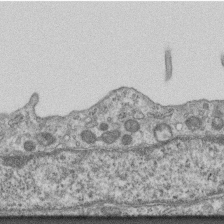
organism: Mouse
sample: Centriole in ependymal cells